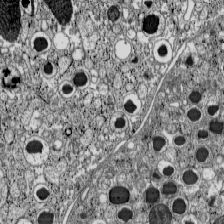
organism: C57BL Mouse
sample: Pancreatic islet